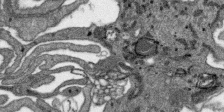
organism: Human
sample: Lung epithelial cells, uninfected (mock) control